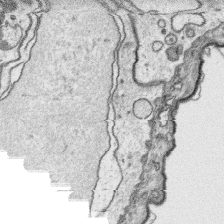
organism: Platynereis dumerilii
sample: Parapodia